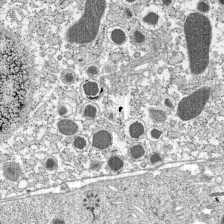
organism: C57BL Mouse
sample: Pancreatic islet